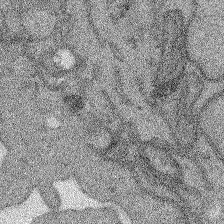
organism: Human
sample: HeLa cells